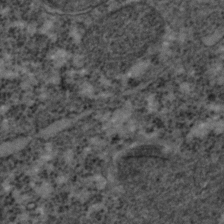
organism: C. elegans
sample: C. elegans embryo